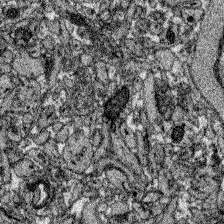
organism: Zebrafish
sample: Larval olfactory bulb